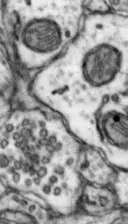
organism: Mouse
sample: Nucleus accumbens